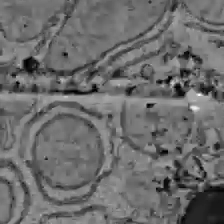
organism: C57BL Mouse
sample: Liver